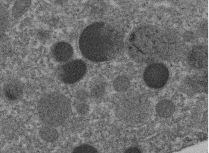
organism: C. elegans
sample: C. elegans embryo early stage